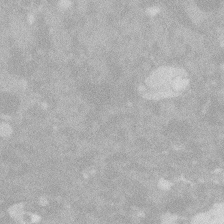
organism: Zebrafish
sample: Macrophage